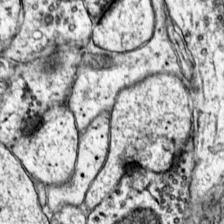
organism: Mouse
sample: Primary visual cortex